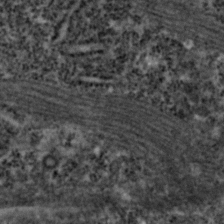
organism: Zebrafish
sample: Zebrafish embryo